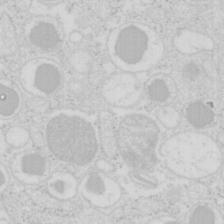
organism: Mouse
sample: Pancreas